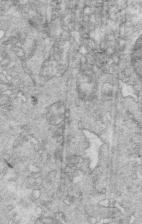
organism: Mouse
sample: Multiciliated cells